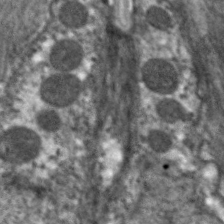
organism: C. elegans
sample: Pharynx